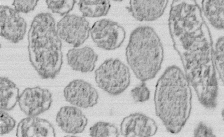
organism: E. coli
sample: Bacterial nucleoid